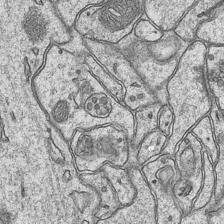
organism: Mouse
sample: CA1 Hippocampus